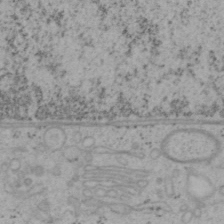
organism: Human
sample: HeLa cells